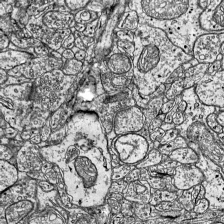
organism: Mouse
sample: Visual Cortex